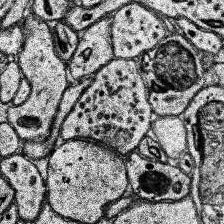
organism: Human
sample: Temporal Lobe